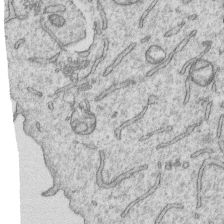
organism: Human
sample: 1205lu cells